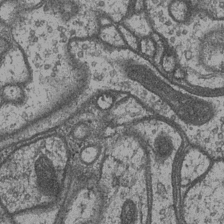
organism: Drosophila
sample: Optic medulla